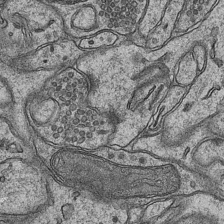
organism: Mouse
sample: CA1 Hippocampus